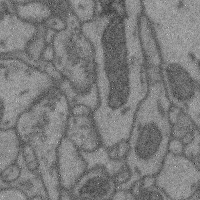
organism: Mouse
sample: Cerebral cortex